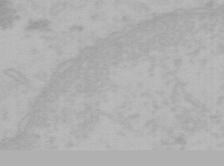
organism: Mouse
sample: Choroid plexus